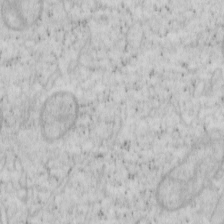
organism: Human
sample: HeLa cells